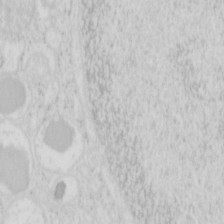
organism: Mouse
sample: Pancreas